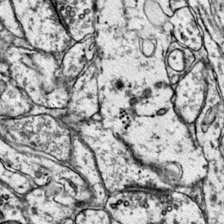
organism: Mouse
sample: Primary visual cortex